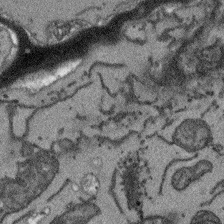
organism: Arabidopsis thaliana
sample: Root tip